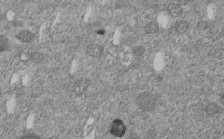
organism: C. elegans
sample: C. elegans embryo early stage